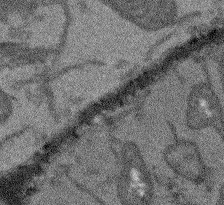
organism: Arabidopsis thaliana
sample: Root tip